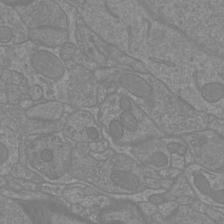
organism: Mouse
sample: Cortical neurons